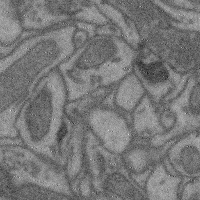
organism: Mouse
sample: Cerebral cortex